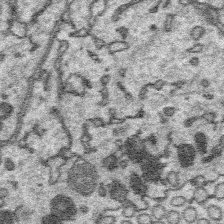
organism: Platynereis dumerilii